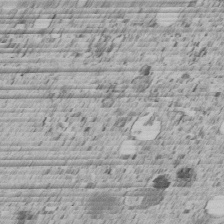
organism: C. elegans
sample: C. elegans embryo early stage